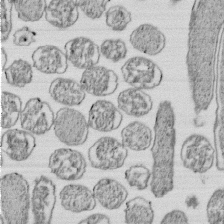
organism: E. coli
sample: Bacterial nucleoid